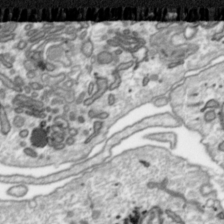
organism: Toxoplasma gondii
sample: Parasites in a vacuole inside a host cell